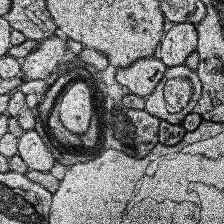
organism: Human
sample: Temporal Lobe